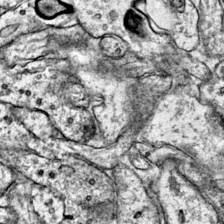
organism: Mouse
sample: Primary visual cortex